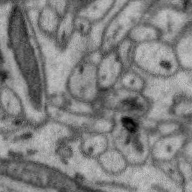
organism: Zebra finch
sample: Brain